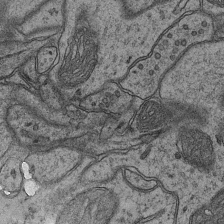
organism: Mouse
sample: CA1 Hippocampus